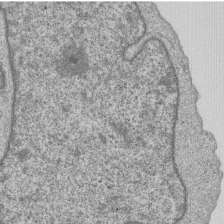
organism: Human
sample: MDA-MB-231 cells